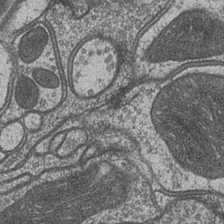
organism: Drosophila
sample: Optic medulla